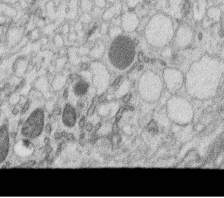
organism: C. elegans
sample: C. elegans oocyte; sperm cells